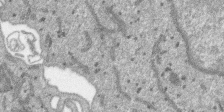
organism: Human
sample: Lung epithelial cells infected with SARS-CoV-2